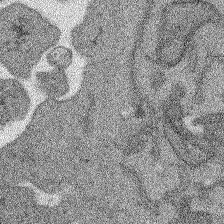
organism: Human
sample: HeLa cells